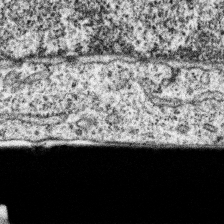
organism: Human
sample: HeLa cells